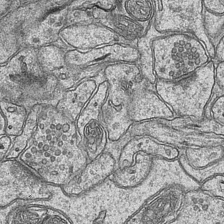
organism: Mouse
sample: CA1 Hippocampus